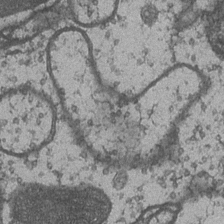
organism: Drosophila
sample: Optic medulla